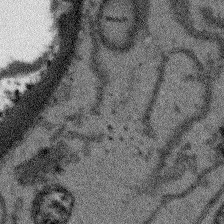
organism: Arabidopsis thaliana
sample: Root tip